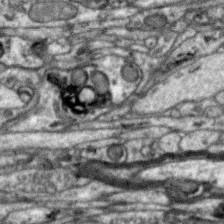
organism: Zebra finch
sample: Brain